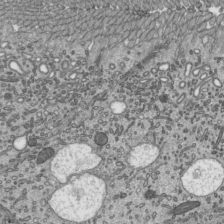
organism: Mouse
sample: Mouse epididymis efferent ductule cilia